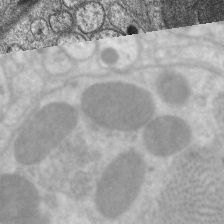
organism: C. elegans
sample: Pharynx